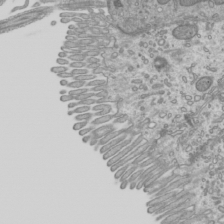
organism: Mouse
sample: Cilia; mouse epididymis